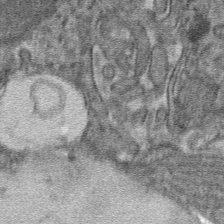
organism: Mouse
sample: Mouse hepatocytes